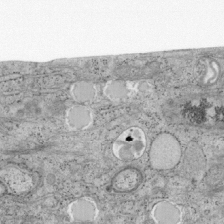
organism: Human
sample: HeLa cells